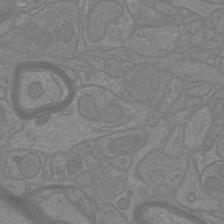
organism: Mouse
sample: Cortical neurons